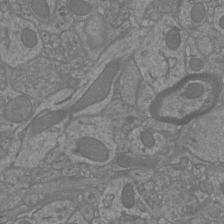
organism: Mouse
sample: Cortical neurons